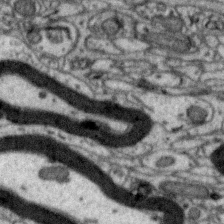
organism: Zebra finch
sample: Brain